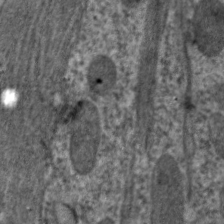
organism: C. elegans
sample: Pharynx